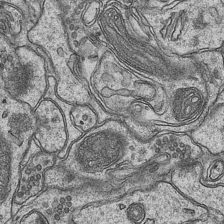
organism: Mouse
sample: CA1 Hippocampus